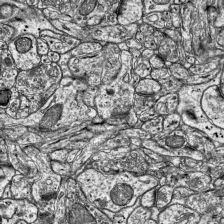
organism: Mouse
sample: Visual Cortex